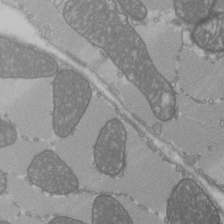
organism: C57BL Mouse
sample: Heart